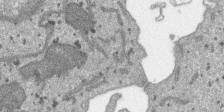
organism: Human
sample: Lung epithelial cells infected with SARS-CoV-2